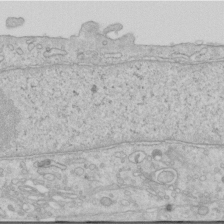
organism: Human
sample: Centriole in RPE cells